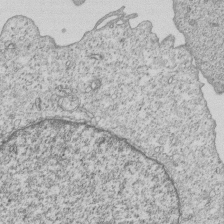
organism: Human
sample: MDA-MB-231 cells